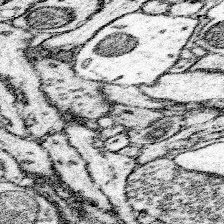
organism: Mouse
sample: Somatosensory cortex neuropil